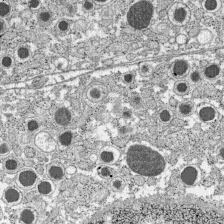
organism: C57BL Mouse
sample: Pancreatic islet